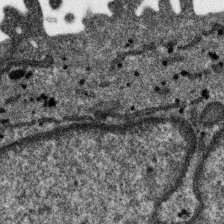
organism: Human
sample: Lung epithelial cells infected with SARS-CoV-2